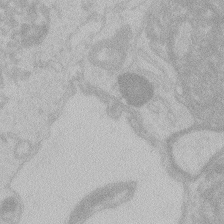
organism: Zebrafish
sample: Macrophage infected with Toxoplasma gondii